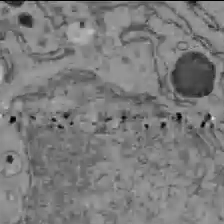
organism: C57BL Mouse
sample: Liver